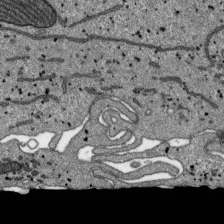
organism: Human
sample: Lung epithelial cells, uninfected (mock) control